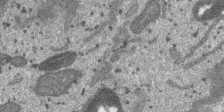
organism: Human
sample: Lung epithelial cells infected with SARS-CoV-2